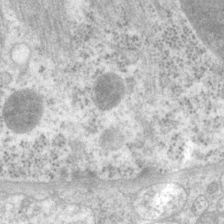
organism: P. pacificus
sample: Pharynx